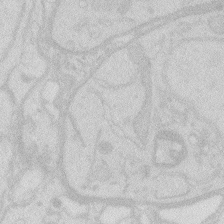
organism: Zebrafish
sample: Macrophage